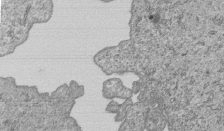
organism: Human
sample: MDA-MB-231 cells